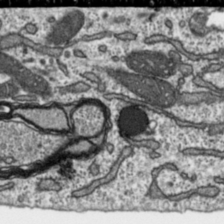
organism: Toxoplasma gondii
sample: Parasites in a vacuole inside a host cell